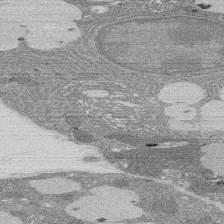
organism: Rat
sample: Salivary granule